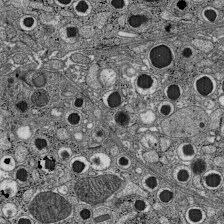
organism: C57BL Mouse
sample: Pancreatic islet